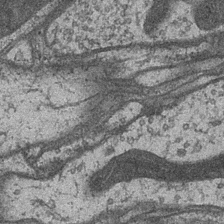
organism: Drosophila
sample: Optic medulla